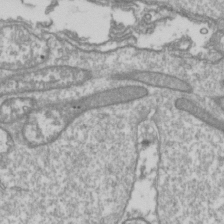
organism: Drosophila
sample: Cell division; meiosis; drosophila spermatocytes